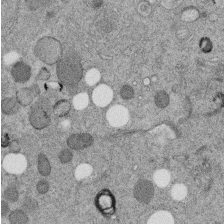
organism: C. elegans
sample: C. elegans embryo early stage